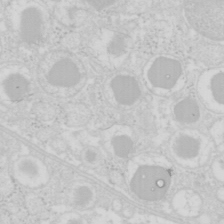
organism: Mouse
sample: Pancreas